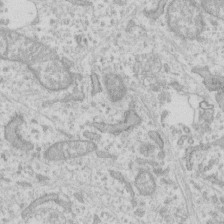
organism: Human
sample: Fibroblast cells